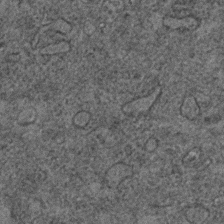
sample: Trachea